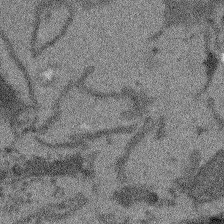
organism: Arabidopsis thaliana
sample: Root tip